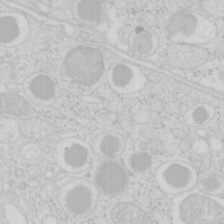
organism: Mouse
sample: Pancreas